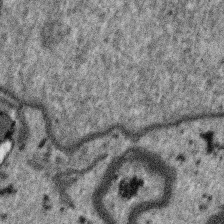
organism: Human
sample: Lung epithelial cells infected with SARS-CoV-2